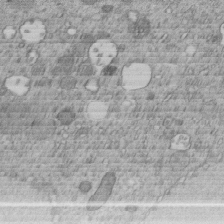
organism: C. elegans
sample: C. elegans embryo early stage